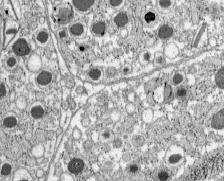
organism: C57BL Mouse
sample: Pancreatic islet